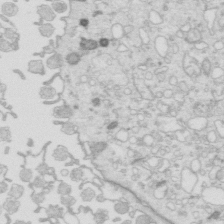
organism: Mouse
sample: Multiciliated cells